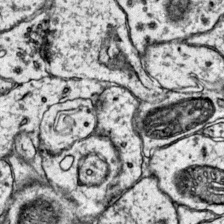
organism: Mouse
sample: Primary visual cortex